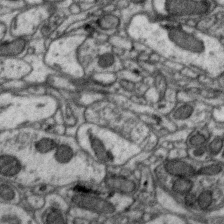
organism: Zebra finch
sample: Brain